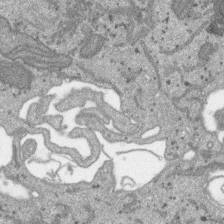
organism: Human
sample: Lung epithelial cells infected with SARS-CoV-2